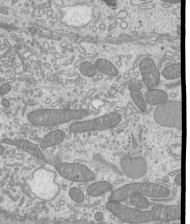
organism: Mouse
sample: Cilia; mouse epididymis